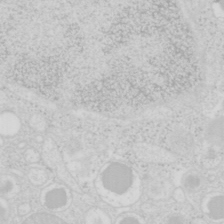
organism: Mouse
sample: Pancreas